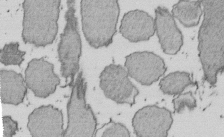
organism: E. coli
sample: Bacterial nucleoid